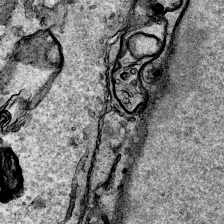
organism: Human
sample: Mitochondria in HCT116 cells